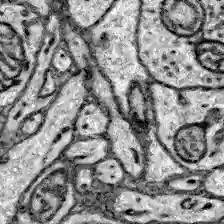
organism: Zebrafish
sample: Brain